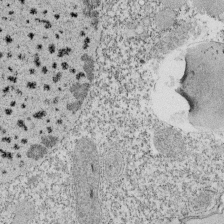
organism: Tetrahymena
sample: Cilia in tetrahymena